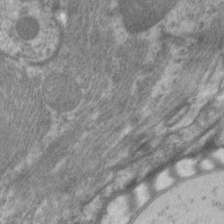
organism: C. elegans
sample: Pharynx